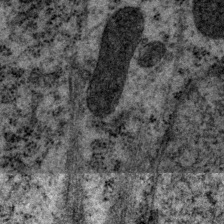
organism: P. pacificus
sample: Pharynx